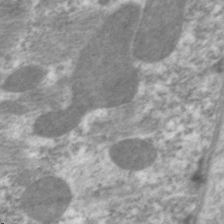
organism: C. elegans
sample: Pharynx